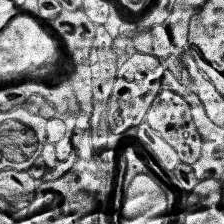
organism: Human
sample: Temporal Lobe